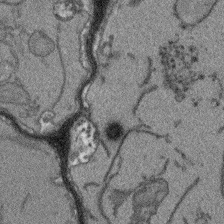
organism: Arabidopsis thaliana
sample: Root tip